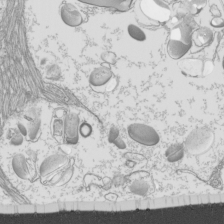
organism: Mouse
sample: Cilia; mouse epididymis